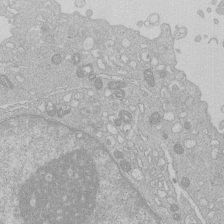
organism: Human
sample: Macrophage cells